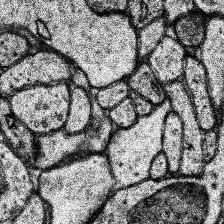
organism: Human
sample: Temporal Lobe